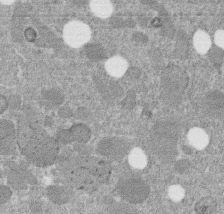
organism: C. elegans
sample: C. elegans embryo early stage